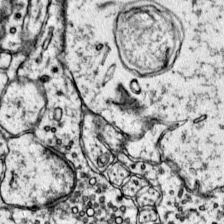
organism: Mouse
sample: Primary visual cortex